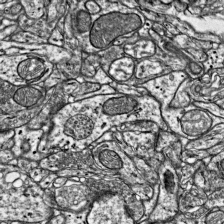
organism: Mouse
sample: Visual Cortex